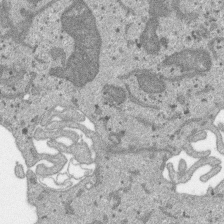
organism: Human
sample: Lung epithelial cells infected with SARS-CoV-2